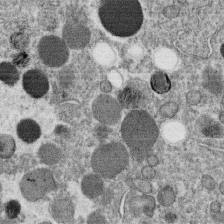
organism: C. elegans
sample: C. elegans oocyte; sperm cells